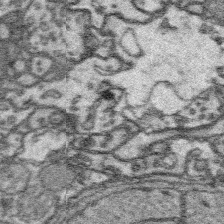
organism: Platynereis dumerilii